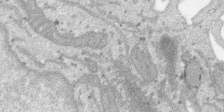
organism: Human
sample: Lung epithelial cells infected with SARS-CoV-2